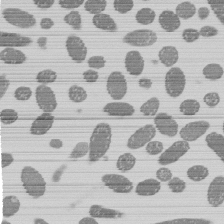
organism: E. coli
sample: Bacterial nucleoid